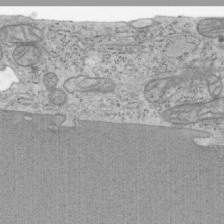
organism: Human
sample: HeLa cells